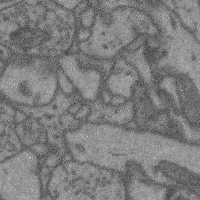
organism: Mouse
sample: Cerebral cortex